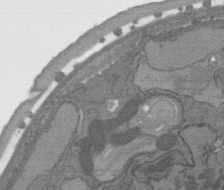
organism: C. elegans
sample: AFD neurons C. elegans